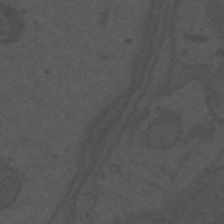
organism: Mouse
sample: Suprachiasmatic nucleus